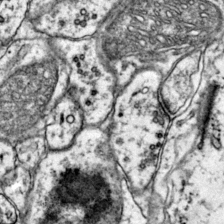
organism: Mouse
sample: Primary visual cortex